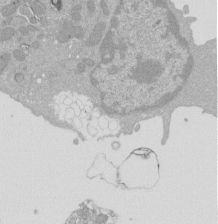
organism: Mouse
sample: Activated Pmel transgenic CD8+ T Cells